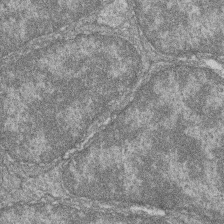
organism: Zebrafish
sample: Cilia; retinal pigment epithelium